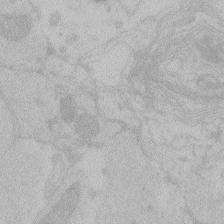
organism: Zebrafish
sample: Macrophage infected with Toxoplasma gondii